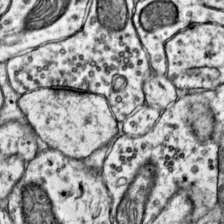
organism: Mouse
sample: Primary visual cortex